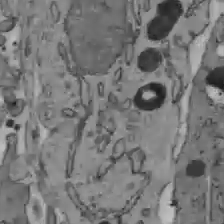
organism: C57BL Mouse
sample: Liver